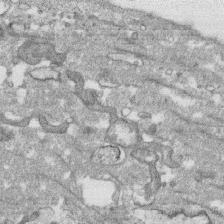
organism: Human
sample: CRL-1474